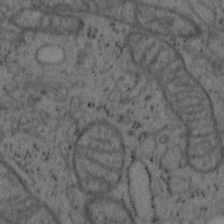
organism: Human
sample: HeLa cells